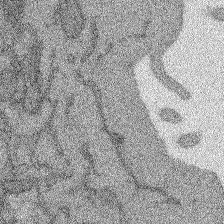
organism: Human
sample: HeLa cells